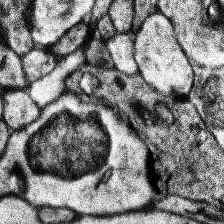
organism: Human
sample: Temporal Lobe